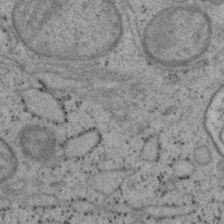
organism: Human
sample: HeLa cells